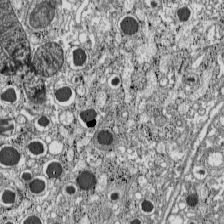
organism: C57BL Mouse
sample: Pancreatic islet